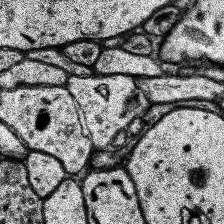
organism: Human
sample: Temporal Lobe